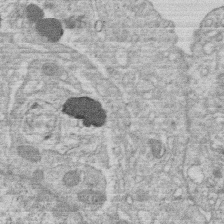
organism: Human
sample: Macrophage cells